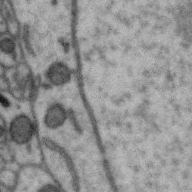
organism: Zebra finch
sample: Brain